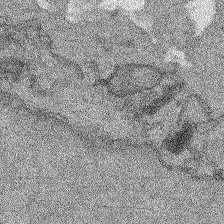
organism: Human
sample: HeLa cells